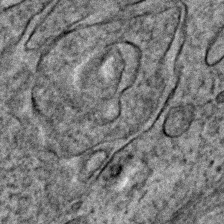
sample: Trachea